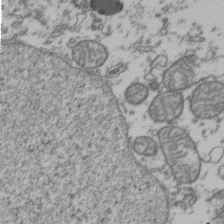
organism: Human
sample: Activated Jurkat CD4+ T cells